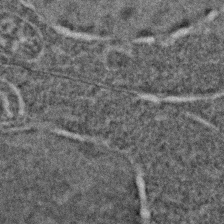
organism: C. elegans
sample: C. elegans embryo